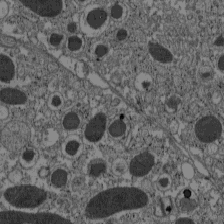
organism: C57BL Mouse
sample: Pancreatic islet